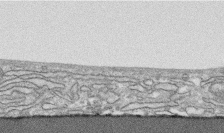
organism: Human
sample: CRL-1474